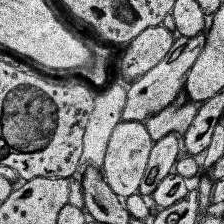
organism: Human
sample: Temporal Lobe